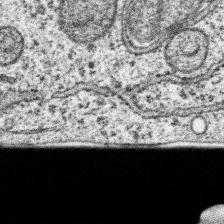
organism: Human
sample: HeLa cells